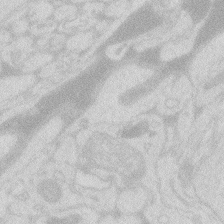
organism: Zebrafish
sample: Macrophage